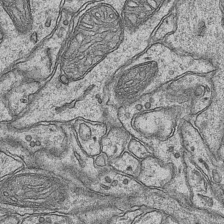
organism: Mouse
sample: CA1 Hippocampus